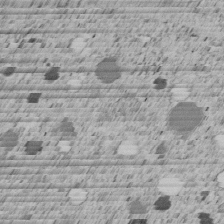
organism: C. elegans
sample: C. elegans embryo early stage